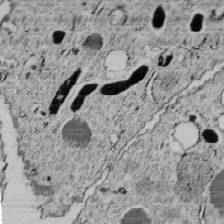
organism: C. elegans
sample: C. elegans embryo early stage